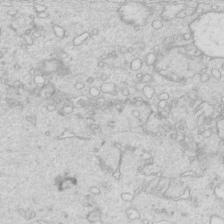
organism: Mouse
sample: Multiciliated cells